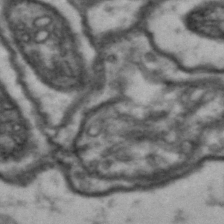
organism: Drosophila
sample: Brain